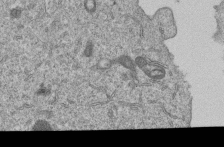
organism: Human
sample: MDA-MB-231 cells